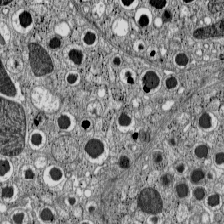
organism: C57BL Mouse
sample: Pancreatic islet